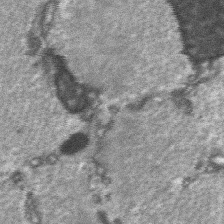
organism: C57BL Mouse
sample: Soleus